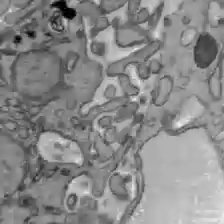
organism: C57BL Mouse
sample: Liver